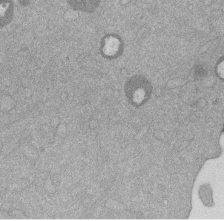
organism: Mouse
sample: Dividing mouse embryo 1 cell stage